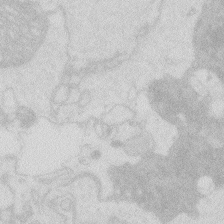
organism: Zebrafish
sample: Macrophage